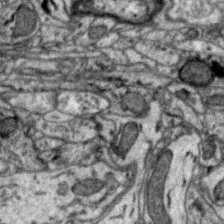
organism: Zebra finch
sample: Brain